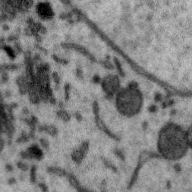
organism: Zebra finch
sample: Brain